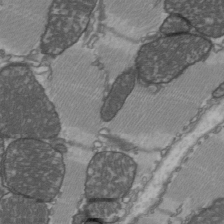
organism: C57BL Mouse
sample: Heart